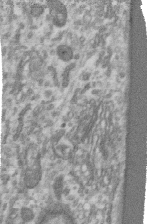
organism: Human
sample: Centriole in RPE cells